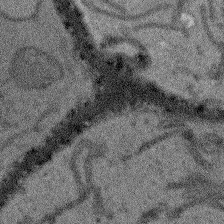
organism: Arabidopsis thaliana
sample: Root tip